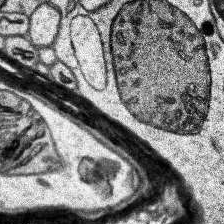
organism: Human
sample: Temporal Lobe